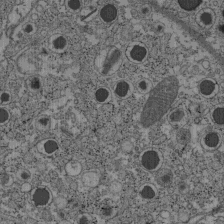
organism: C57BL Mouse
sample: Pancreatic islet